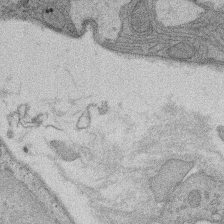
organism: Rat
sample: Salivary granule